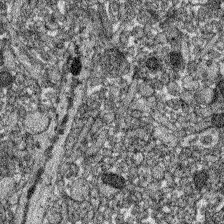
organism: Zebrafish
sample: Larval olfactory bulb